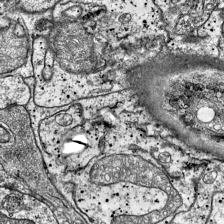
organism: Mouse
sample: Visual Cortex